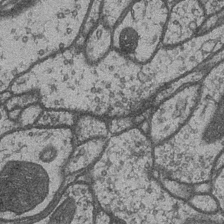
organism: Drosophila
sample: Optic medulla